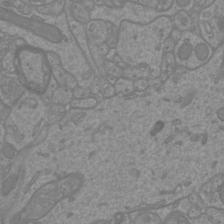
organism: Mouse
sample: Cortical neurons